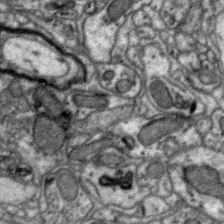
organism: Zebra finch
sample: Brain